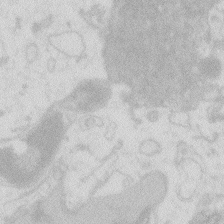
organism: Zebrafish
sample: Macrophage